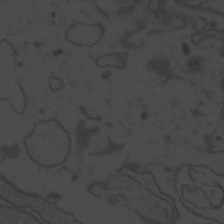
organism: Zebrafish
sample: Macrophage infected with Toxoplasma gondii